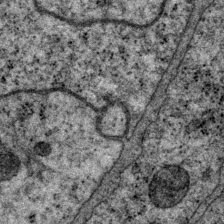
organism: P. pacificus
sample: Pharynx